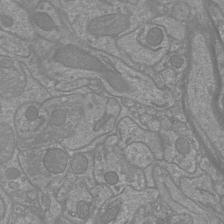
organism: Mouse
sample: Cortical neurons